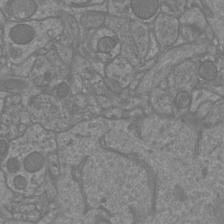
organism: Mouse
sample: Cortical neurons